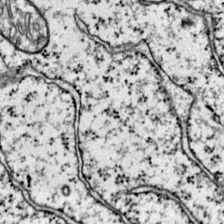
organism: Mouse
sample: Primary visual cortex